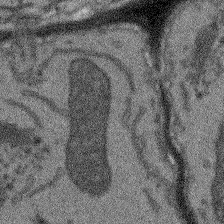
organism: Arabidopsis thaliana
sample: Root tip